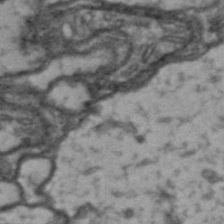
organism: Drosophila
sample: Brain